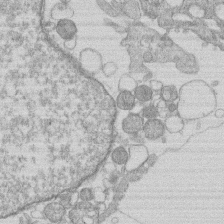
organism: Human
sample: Macrophage cells